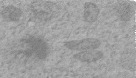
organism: C. elegans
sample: C. elegans embryo early stage